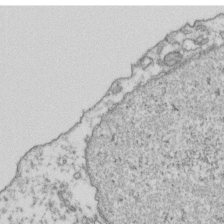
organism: Human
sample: Activated Jurkat CD4+ T cells